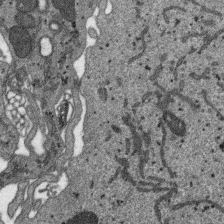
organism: Human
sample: Lung epithelial cells infected with SARS-CoV-2